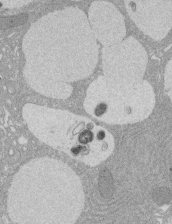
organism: Rat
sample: Salivary granule